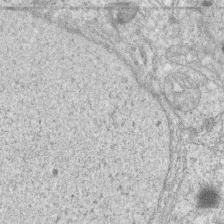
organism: Human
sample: HeLa cell HIV synapse